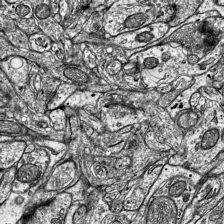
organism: Mouse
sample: Visual Cortex